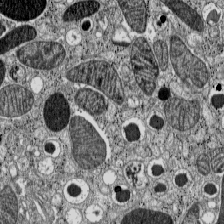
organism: C57BL Mouse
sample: Pancreatic islet